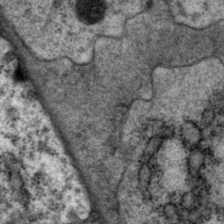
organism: P. pacificus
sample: Pharynx